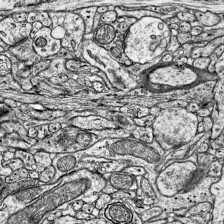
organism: Mouse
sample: Visual Cortex